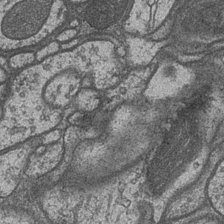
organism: Drosophila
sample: Optic medulla